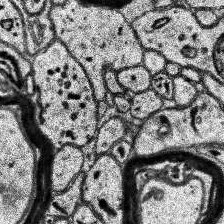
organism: Human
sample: Temporal Lobe